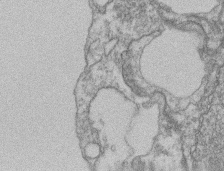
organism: Mouse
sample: T cell stromal cell synapse